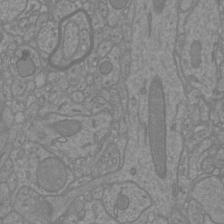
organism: Mouse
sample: Cortical neurons